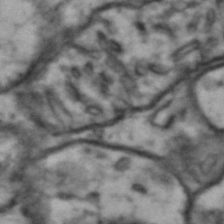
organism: Drosophila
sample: Brain